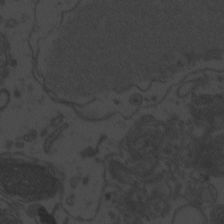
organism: Zebrafish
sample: Macrophage infected with Toxoplasma gondii